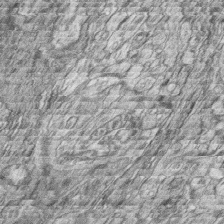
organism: Zebrafish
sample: synaptic ribbons in rod cells and cone cells